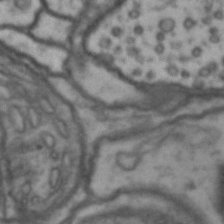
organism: Drosophila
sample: Brain